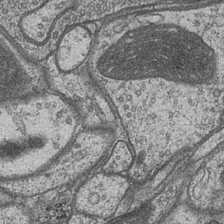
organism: Drosophila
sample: Optic medulla